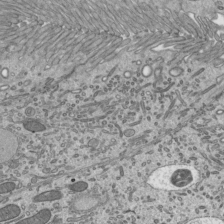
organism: Mouse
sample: Mouse epididymis efferent ductule cilia